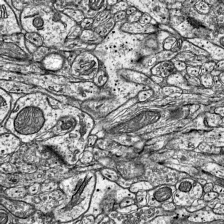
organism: Mouse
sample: Visual Cortex